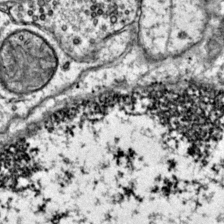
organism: Mouse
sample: Primary visual cortex